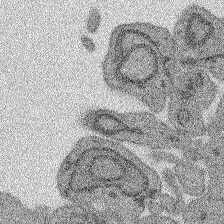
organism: Human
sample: HeLa cells